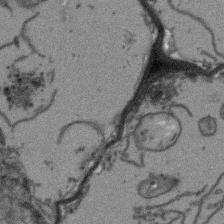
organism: Arabidopsis thaliana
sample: Root tip